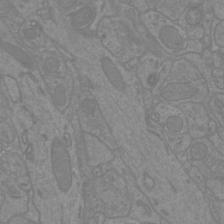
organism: Mouse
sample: Cortical neurons